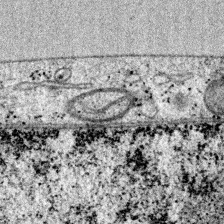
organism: Human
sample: HeLa cells